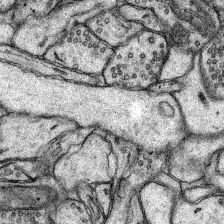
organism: Rat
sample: Hippocampus